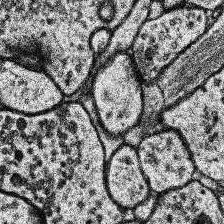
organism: Human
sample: Temporal Lobe